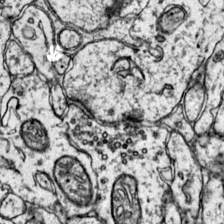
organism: Mouse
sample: Primary visual cortex